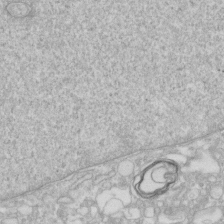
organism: Human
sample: Fibroblast cells